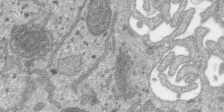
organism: Human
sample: Lung epithelial cells infected with SARS-CoV-2